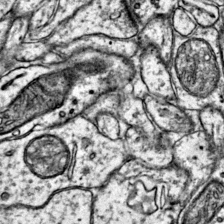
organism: Mouse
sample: Primary visual cortex